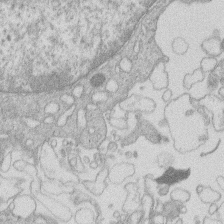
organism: Human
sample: Macrophage cells